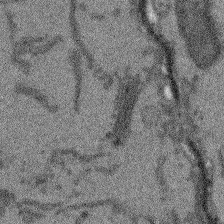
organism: Arabidopsis thaliana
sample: Root tip